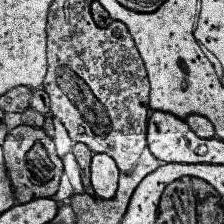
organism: Human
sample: Temporal Lobe